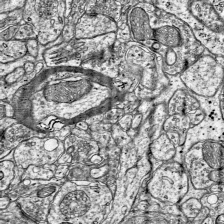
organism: Mouse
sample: Visual Cortex